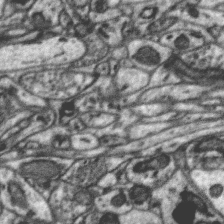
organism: Zebra finch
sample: Brain